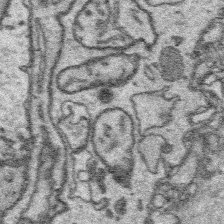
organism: Platynereis dumerilii